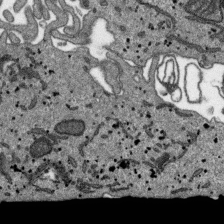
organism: Human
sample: Lung epithelial cells, uninfected (mock) control